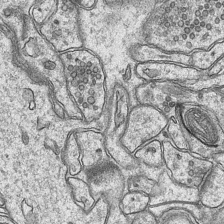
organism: Mouse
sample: CA1 Hippocampus